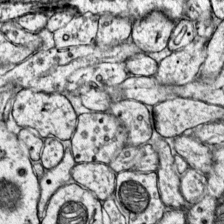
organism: Mouse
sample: Primary visual cortex